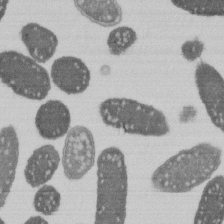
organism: E. coli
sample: Bacterial nucleoid